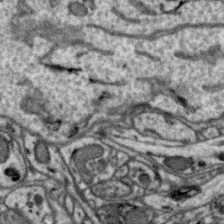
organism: Zebra finch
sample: Brain